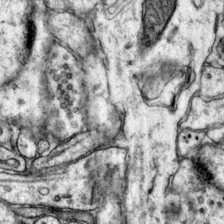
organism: Mouse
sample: Primary visual cortex